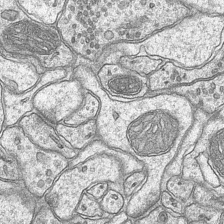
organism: Mouse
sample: CA1 Hippocampus